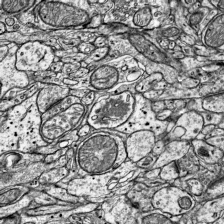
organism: Mouse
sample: Visual Cortex